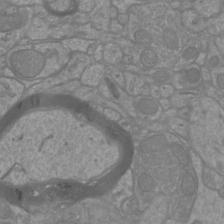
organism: Mouse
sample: Cortical neurons